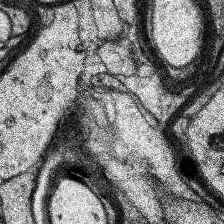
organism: Human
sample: Temporal Lobe